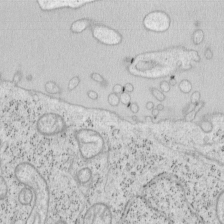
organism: Mouse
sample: OT-I killer T cells with ID8 ovarian cancer cells